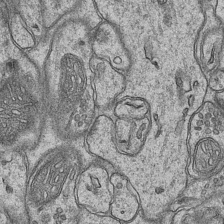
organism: Mouse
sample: CA1 Hippocampus